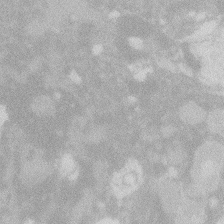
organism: Zebrafish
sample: Macrophage